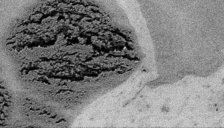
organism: Embia sp.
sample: Silk gland